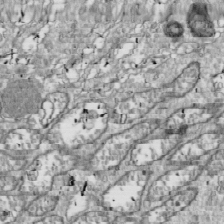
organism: Drosophila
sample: Cell division; meiosis; drosophila spermatocytes